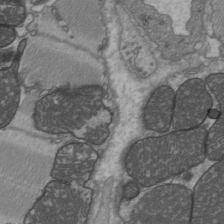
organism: C57BL Mouse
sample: Heart